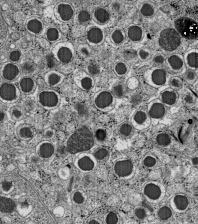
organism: C57BL Mouse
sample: Pancreatic islet